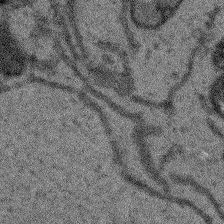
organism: Arabidopsis thaliana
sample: Root tip